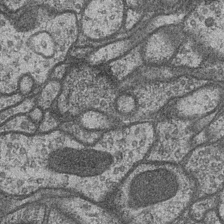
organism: Drosophila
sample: Optic medulla